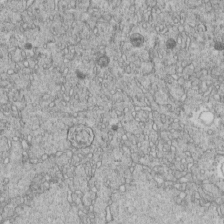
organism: C. elegans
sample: C. elegans embryo early stage